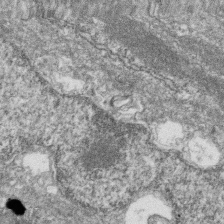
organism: Zebrafish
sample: Cilia; retinal pigment epithelium